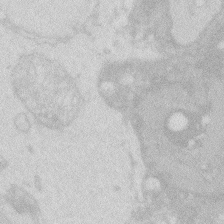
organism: Zebrafish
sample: Macrophage